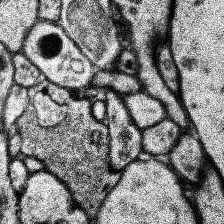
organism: Human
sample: Temporal Lobe